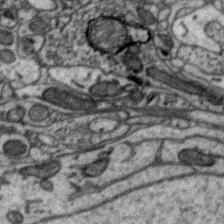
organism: Zebra finch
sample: Brain